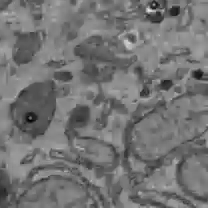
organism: C57BL Mouse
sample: Liver